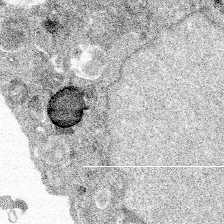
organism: Spongilla lacustris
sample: Multiple